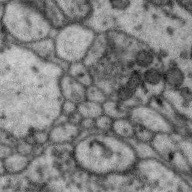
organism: Zebra finch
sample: Brain